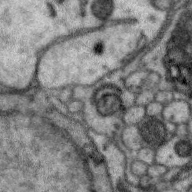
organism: Zebra finch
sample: Brain